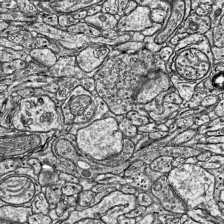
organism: Mouse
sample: Visual Cortex